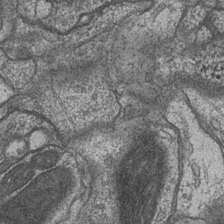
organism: Drosophila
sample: Optic medulla